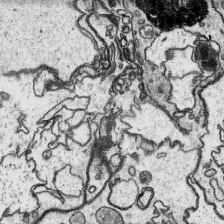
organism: Platynereis dumerilii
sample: Parapodia